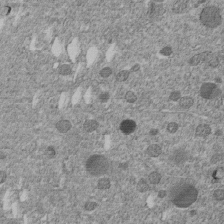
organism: C. elegans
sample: C. elegans embryo early stage